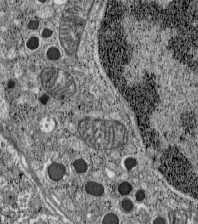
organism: C57BL Mouse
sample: Pancreatic islet